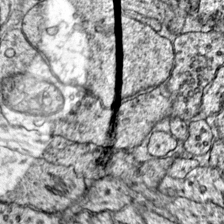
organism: Mouse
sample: Primary visual cortex